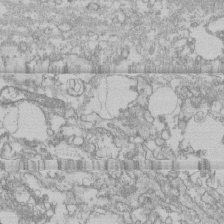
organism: Human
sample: CRL-1474